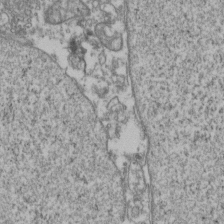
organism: Human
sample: Activated Jurkat CD4+ T cells